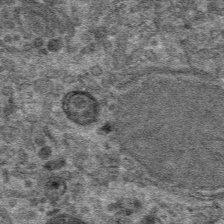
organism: Mouse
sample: Mouse hepatocytes